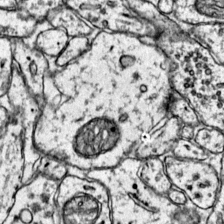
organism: Mouse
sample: Primary visual cortex